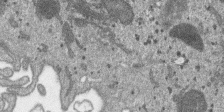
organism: Human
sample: Lung epithelial cells infected with SARS-CoV-2